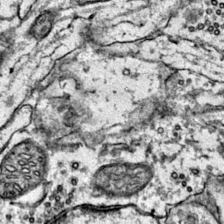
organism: Mouse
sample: Primary visual cortex